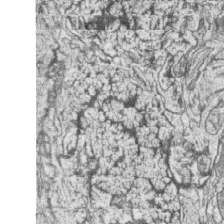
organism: Zebrafish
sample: synaptic ribbons in rod cells and cone cells